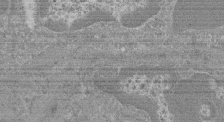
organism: Mouse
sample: Glomerulus